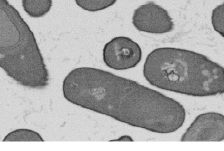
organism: B. subtilis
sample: Bacterial spore